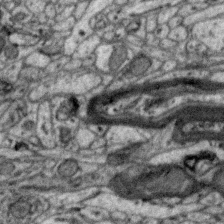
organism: Zebra finch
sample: Brain